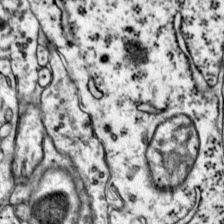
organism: Mouse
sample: Primary visual cortex